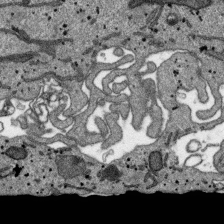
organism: Human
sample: Lung epithelial cells, uninfected (mock) control